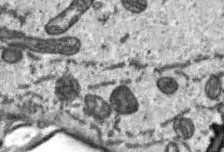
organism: Human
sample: HeLa cells